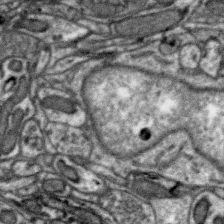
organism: Zebra finch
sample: Brain